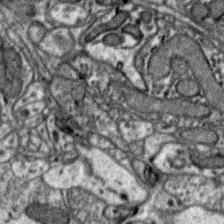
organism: Zebra finch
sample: Brain